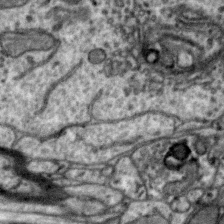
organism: Zebra finch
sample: Brain